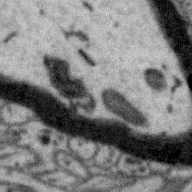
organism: Zebra finch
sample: Brain